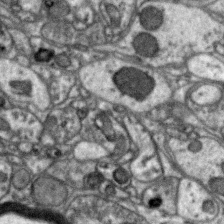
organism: Zebra finch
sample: Brain